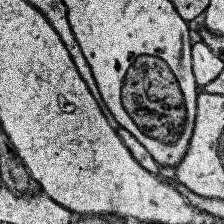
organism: Human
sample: Temporal Lobe